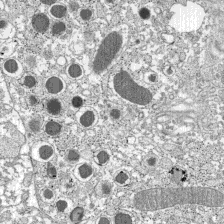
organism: C57BL Mouse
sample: Pancreatic islet